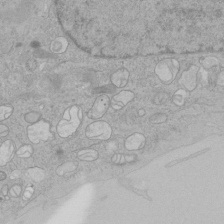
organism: Human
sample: Mitochondria in HCT116 cells